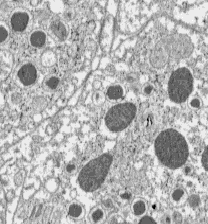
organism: C57BL Mouse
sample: Pancreatic islet